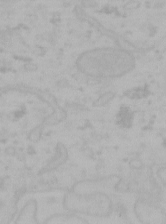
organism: Mouse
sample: Choroid plexus